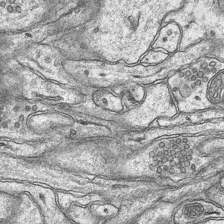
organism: Mouse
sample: CA1 Hippocampus